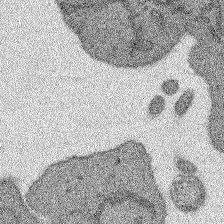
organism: Human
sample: HeLa cells